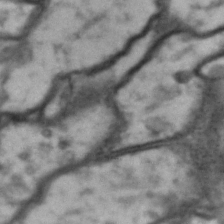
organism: Drosophila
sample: Brain